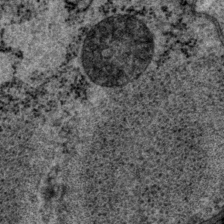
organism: P. pacificus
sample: Pharynx